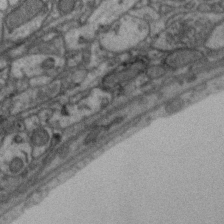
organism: Zebra finch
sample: Brain